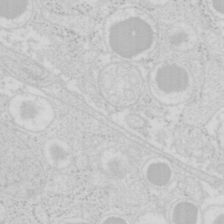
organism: Mouse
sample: Pancreas